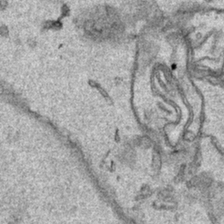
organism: Human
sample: Mitochondria in HCT116 cells